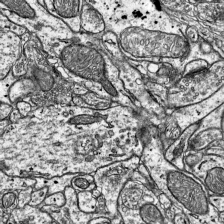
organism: Mouse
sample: Visual Cortex